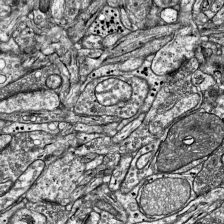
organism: Mouse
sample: Visual Cortex